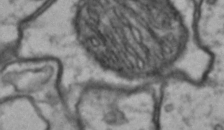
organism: Drosophila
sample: Brain